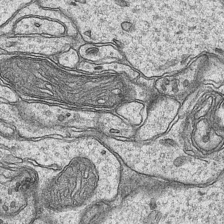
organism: Mouse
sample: CA1 Hippocampus